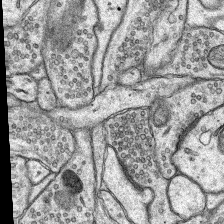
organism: Rat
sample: Hippocampus